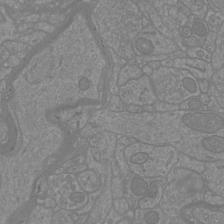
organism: Mouse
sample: Cortical neurons